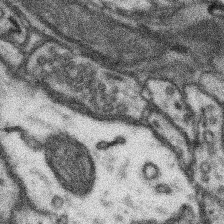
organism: Mouse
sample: Somatosensory cortex neuropil